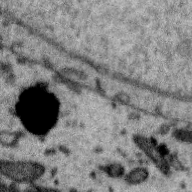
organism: Zebra finch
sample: Brain